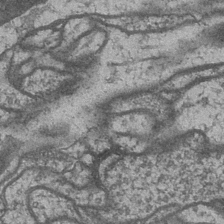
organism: Drosophila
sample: Optic medulla